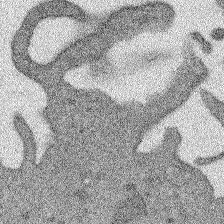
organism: Human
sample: HeLa cells